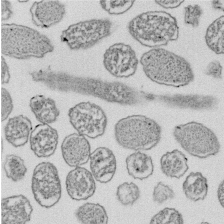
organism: E. coli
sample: Bacterial nucleoid